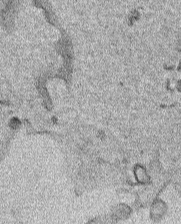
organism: Human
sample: Mitochondria in HCT116 cells